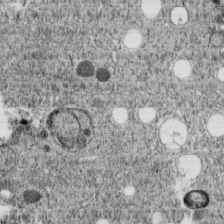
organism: C. elegans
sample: C. elegans embryo early stage